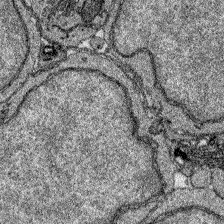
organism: Zebrafish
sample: Larval olfactory bulb